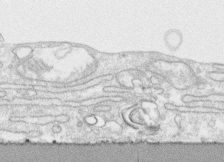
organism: Human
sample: CRL-1474